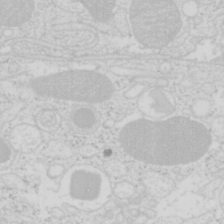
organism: Mouse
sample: Pancreas